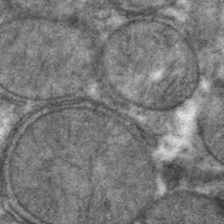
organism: Mouse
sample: Mouse hepatocytes